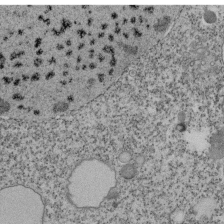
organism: Tetrahymena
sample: Cilia in tetrahymena